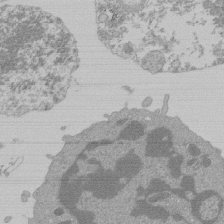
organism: Mouse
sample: Activated Pmel transgenic CD8+ T Cells